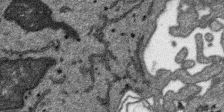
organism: Human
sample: Lung epithelial cells infected with SARS-CoV-2